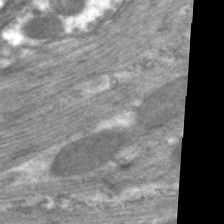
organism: C. elegans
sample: Pharynx